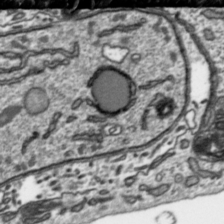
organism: Toxoplasma gondii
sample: Parasites in a vacuole inside a host cell